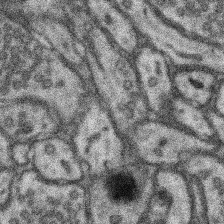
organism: Mouse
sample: Somatosensory cortex neuropil